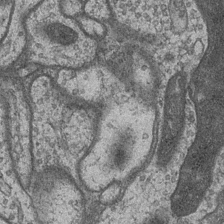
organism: Drosophila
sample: Optic medulla